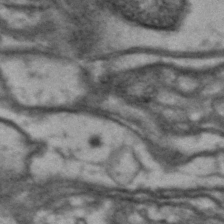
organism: Drosophila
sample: Brain